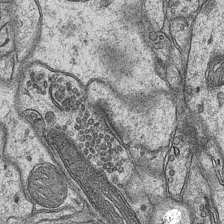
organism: Mouse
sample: CA1 Hippocampus